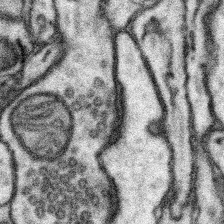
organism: Mouse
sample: Somatosensory cortex neuropil